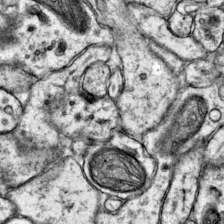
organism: Mouse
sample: Primary visual cortex